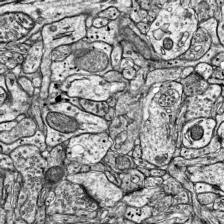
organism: Mouse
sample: Visual Cortex